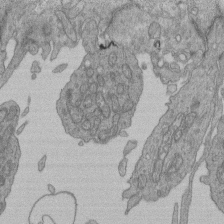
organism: Human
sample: Retinal organoid Rod and Cone cells